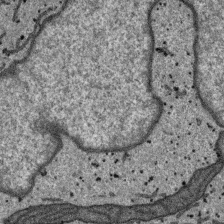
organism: Human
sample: Lung epithelial cells, uninfected (mock) control